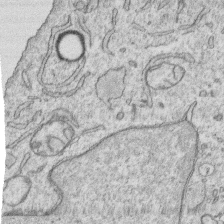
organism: Human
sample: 1205lu cells